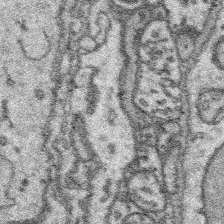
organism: Platynereis dumerilii